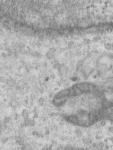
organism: Human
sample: Centriole in RPE cells